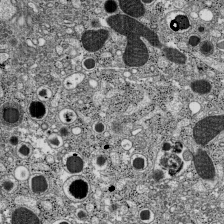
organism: C57BL Mouse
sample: Pancreatic islet